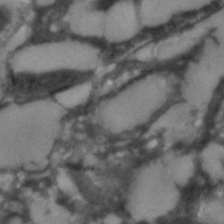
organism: C. elegans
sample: C. elegans embryo